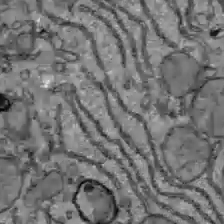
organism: C57BL Mouse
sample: Liver